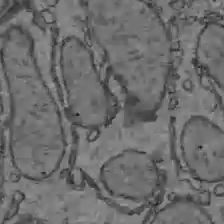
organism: C57BL Mouse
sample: Liver